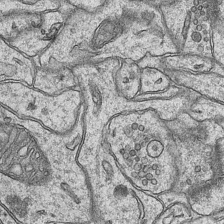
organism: Mouse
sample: CA1 Hippocampus